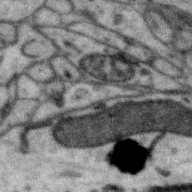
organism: Zebra finch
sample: Brain